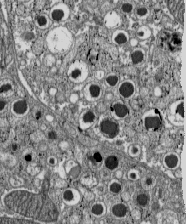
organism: C57BL Mouse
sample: Pancreatic islet